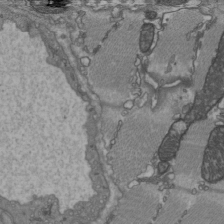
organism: C57BL Mouse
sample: Heart